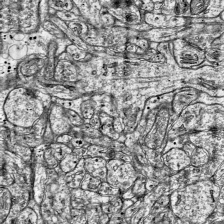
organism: Mouse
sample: Visual Cortex